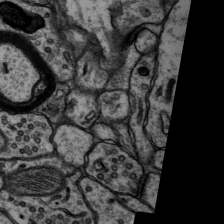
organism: Rat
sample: Hippocampus